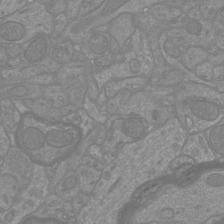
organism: Mouse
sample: Cortical neurons